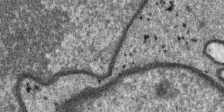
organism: Human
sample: Lung epithelial cells infected with SARS-CoV-2